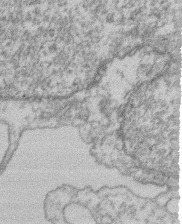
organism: Mouse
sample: T cell stromal cell synapse